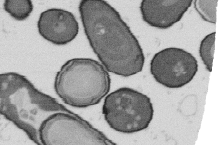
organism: B. subtilis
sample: Bacterial spore